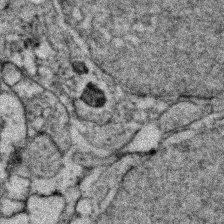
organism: Zebrafish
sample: Zebrafish embryo